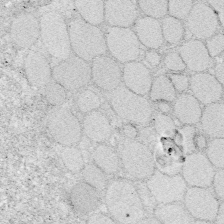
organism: Zebrafish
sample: Whole-Brain